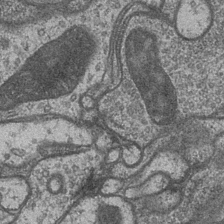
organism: Drosophila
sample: Optic medulla